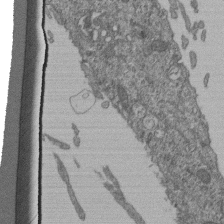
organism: Human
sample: Retinal organoid Rod and Cone cells